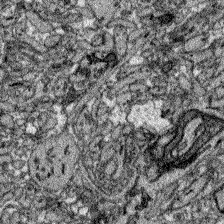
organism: Zebrafish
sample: Larval olfactory bulb